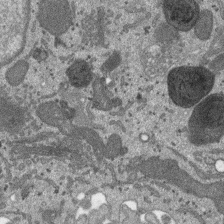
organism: Human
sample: Lung epithelial cells infected with SARS-CoV-2